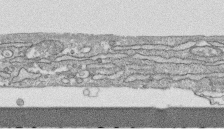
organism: Human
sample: CRL-1474